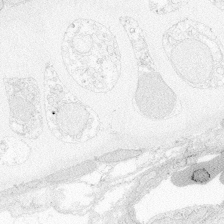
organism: Zebrafish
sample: Whole-Brain